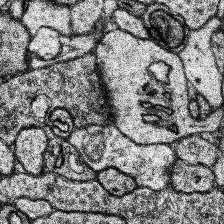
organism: Human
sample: Temporal Lobe